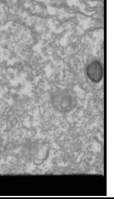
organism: Drosophila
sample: Cell division; meiosis; drosophila spermatocytes